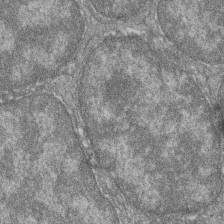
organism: Zebrafish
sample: Cilia; retinal pigment epithelium